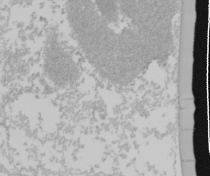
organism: Mouse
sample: Cancer cell death in ED-1 cells